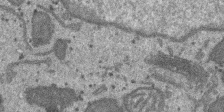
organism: Human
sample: Lung epithelial cells infected with SARS-CoV-2